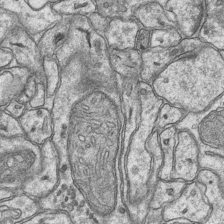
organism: Mouse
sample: CA1 Hippocampus